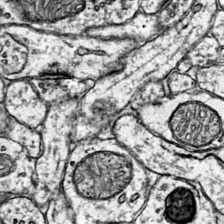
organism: Mouse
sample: Primary visual cortex